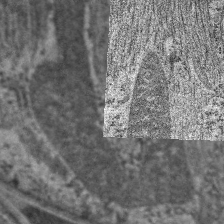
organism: C. elegans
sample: Pharynx